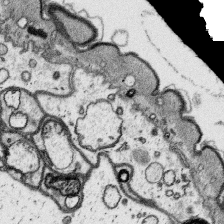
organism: Platynereis dumerilii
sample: Parapodia